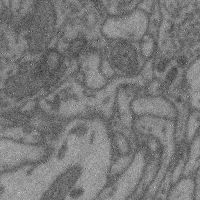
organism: Mouse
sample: Cerebral cortex